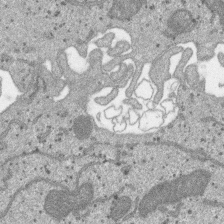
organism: Human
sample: Lung epithelial cells infected with SARS-CoV-2